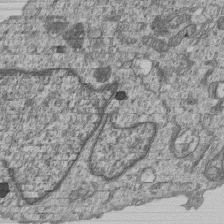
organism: Human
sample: MDA-MB-231 cells